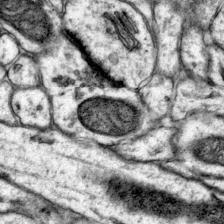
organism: Mouse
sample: Primary visual cortex